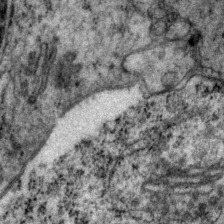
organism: P. pacificus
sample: Pharynx